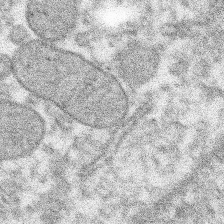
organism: Xenopus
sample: Cilia; centrioles in frog embryo cells